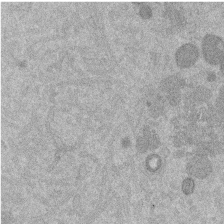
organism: Mouse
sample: Dividing mouse embryo 1 cell stage